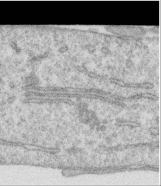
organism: Human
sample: Centriole in RPE cells